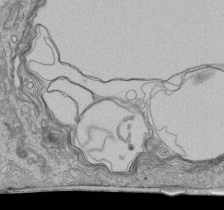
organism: Human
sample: Retinal organoid Rod and Cone cells